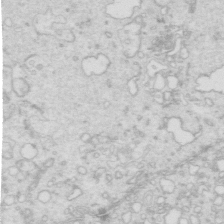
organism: Mouse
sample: Multiciliated cells